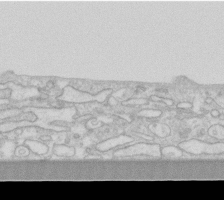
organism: Human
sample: Fibroblast cells